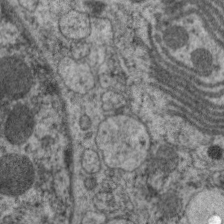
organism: C. elegans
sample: Pharynx